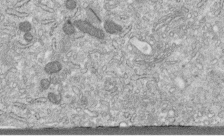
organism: Human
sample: Centriole in fibroblast cells